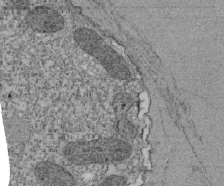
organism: Tetrahymena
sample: Cilia in tetrahymena